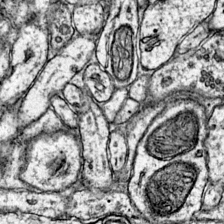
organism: Mouse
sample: Primary visual cortex